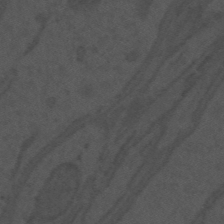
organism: Mouse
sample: Suprachiasmatic nucleus